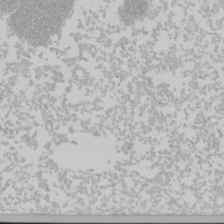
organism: Mouse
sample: Cancer cell death in ED-1 cells